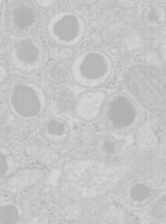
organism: Mouse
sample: Pancreas